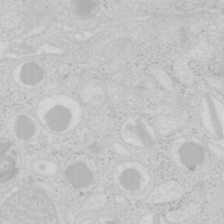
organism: Mouse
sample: Pancreas